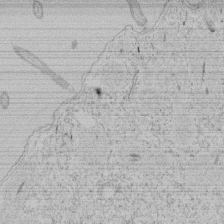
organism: Tetrahymena